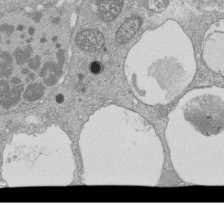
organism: Tetrahymena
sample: Cilia in tetrahymena